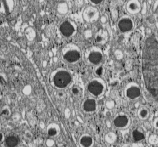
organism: C57BL Mouse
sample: Pancreatic islet